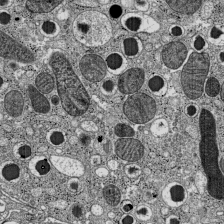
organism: C57BL Mouse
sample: Pancreatic islet